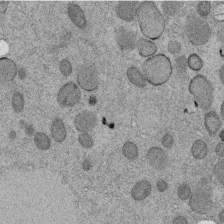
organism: C. elegans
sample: C. elegans embryo early stage